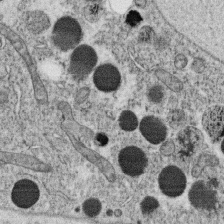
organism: C. elegans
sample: C. elegans oocyte; sperm cells